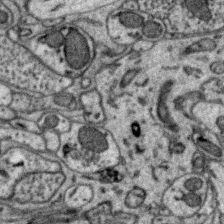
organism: Zebra finch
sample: Brain